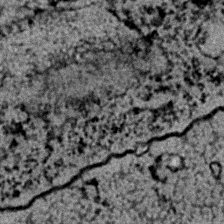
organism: C. elegans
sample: C. elegans embryo